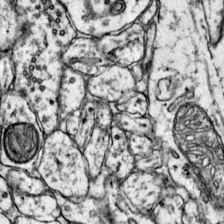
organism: Mouse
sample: Primary visual cortex